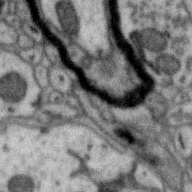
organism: Zebra finch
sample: Brain